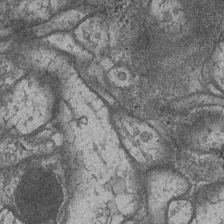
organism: Drosophila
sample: Optic medulla